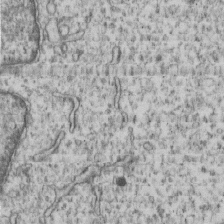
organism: Human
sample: MDA-MB-231 cells